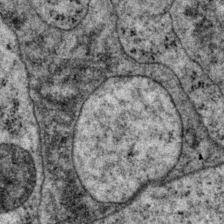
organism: P. pacificus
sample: Pharynx